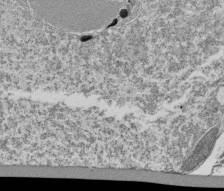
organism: Tetrahymena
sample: Cilia in tetrahymena